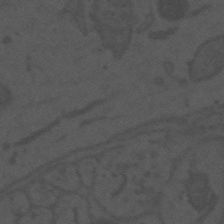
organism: Mouse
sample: Suprachiasmatic nucleus